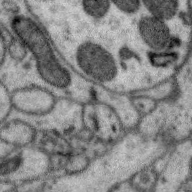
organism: Zebra finch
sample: Brain